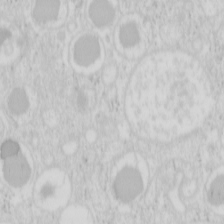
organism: Mouse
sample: Pancreas